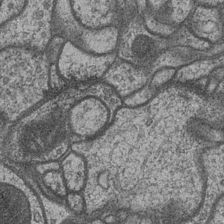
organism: Drosophila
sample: Optic medulla